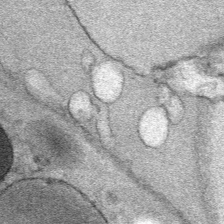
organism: Mouse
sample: Mouse Salivary gland